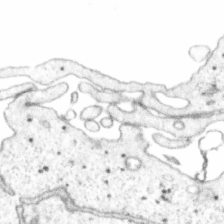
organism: Human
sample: HeLa cells